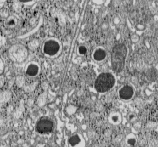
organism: C57BL Mouse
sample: Pancreatic islet